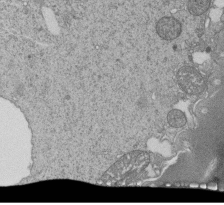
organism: Tetrahymena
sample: Cilia in tetrahymena